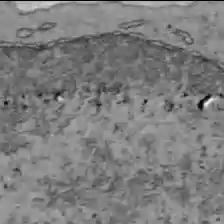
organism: C57BL Mouse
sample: Liver